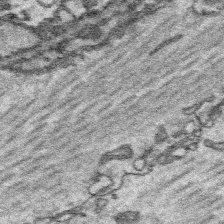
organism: Platynereis dumerilii